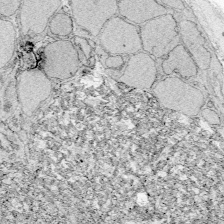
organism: Zebrafish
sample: Whole-Brain